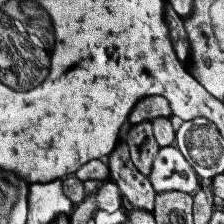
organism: Human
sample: Temporal Lobe